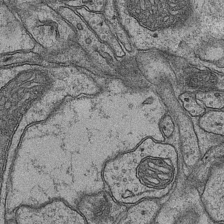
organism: Mouse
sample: CA1 Hippocampus